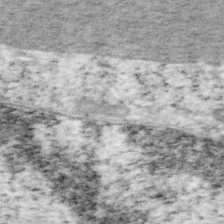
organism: Mouse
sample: OT-I killer T cells with ID8 ovarian cancer cells